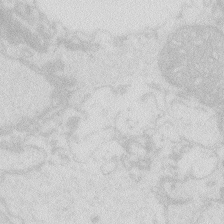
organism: Zebrafish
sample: Macrophage